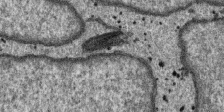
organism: Human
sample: Lung epithelial cells, uninfected (mock) control